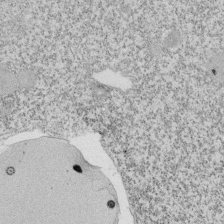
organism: Tetrahymena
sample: Cilia in tetrahymena